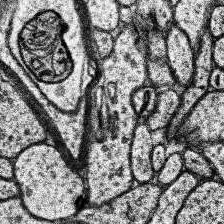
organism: Human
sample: Temporal Lobe